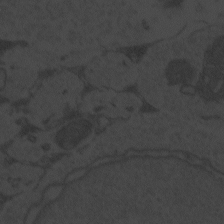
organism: Zebrafish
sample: Macrophage infected with Toxoplasma gondii